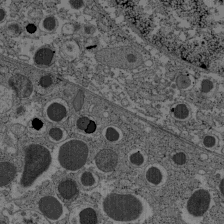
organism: C57BL Mouse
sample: Pancreatic islet